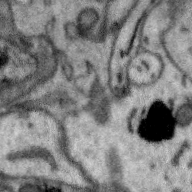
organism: Zebra finch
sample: Brain